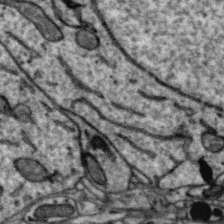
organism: Zebra finch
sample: Brain